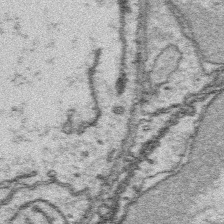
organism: Platynereis dumerilii